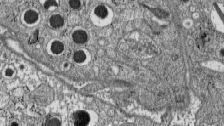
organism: C57BL Mouse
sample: Pancreatic islet